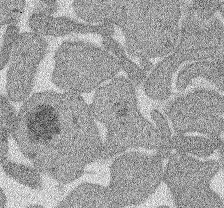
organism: Human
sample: HeLa cells